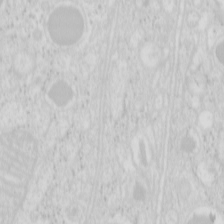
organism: Mouse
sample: Pancreas